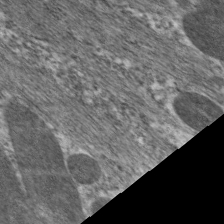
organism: C. elegans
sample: Pharynx